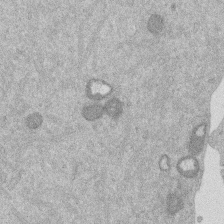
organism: Mouse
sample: Dividing mouse embryo 1 cell stage